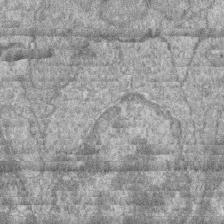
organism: Zebrafish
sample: Cilia; retinal pigment epithelium